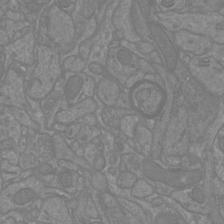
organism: Mouse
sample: Cortical neurons